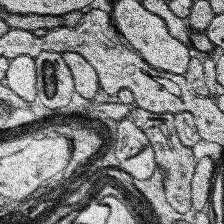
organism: Human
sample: Temporal Lobe